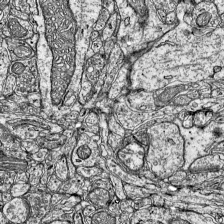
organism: Mouse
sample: Visual Cortex